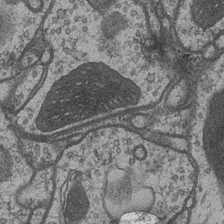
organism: Drosophila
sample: Optic medulla